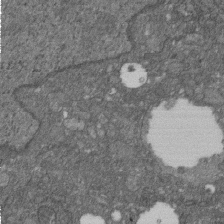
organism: Drosophila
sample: Nephrocyte